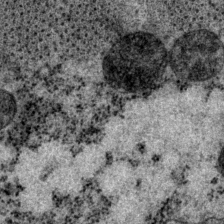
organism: P. pacificus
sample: Pharynx